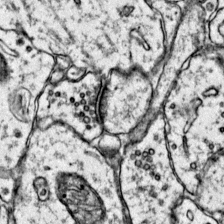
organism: Mouse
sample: Primary visual cortex